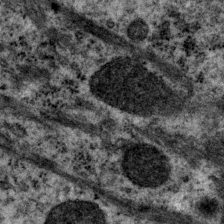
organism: P. pacificus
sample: Pharynx